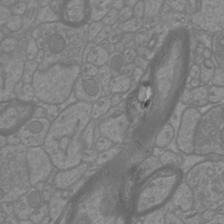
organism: Mouse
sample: Cortical neurons